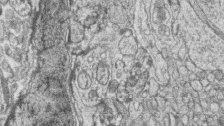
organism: Zebrafish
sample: synaptic ribbons in rod cells and cone cells